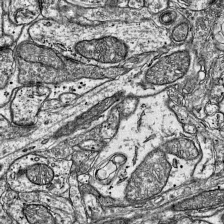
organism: Mouse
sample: Visual Cortex